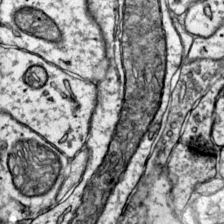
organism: Mouse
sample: Primary visual cortex